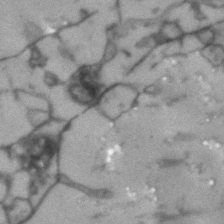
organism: Human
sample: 1205lu cells